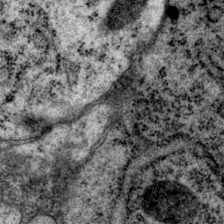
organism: P. pacificus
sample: Pharynx